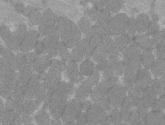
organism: C57BL Mouse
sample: Tibialis anterior muscle cell